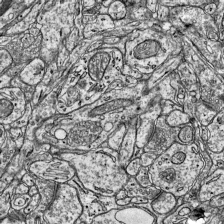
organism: Mouse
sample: Visual Cortex